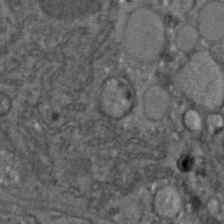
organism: C. elegans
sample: C. elegans embryo